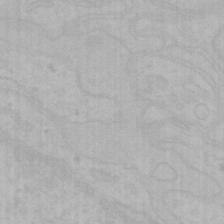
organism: Mouse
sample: Choroid plexus